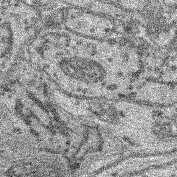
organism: Mouse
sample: Retina